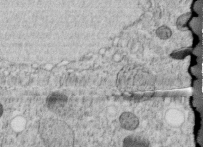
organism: C. elegans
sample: C. elegans embryo early stage